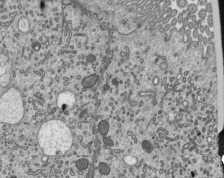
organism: Mouse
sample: Mouse epididymis efferent ductule cilia